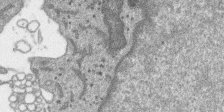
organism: Human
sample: Lung epithelial cells infected with SARS-CoV-2